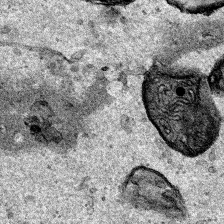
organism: Human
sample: Mitochondria in HCT116 cells